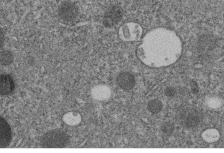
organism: C. elegans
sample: C. elegans embryo early stage